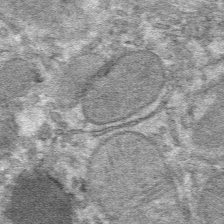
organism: Mouse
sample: Mouse hepatocytes